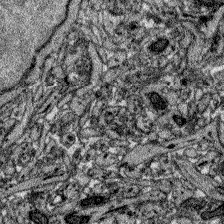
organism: Zebrafish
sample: Larval olfactory bulb